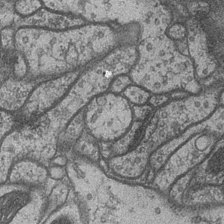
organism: Drosophila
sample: Optic medulla